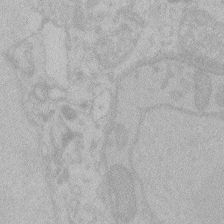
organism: Zebrafish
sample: Macrophage infected with Toxoplasma gondii